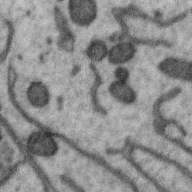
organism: Zebra finch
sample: Brain